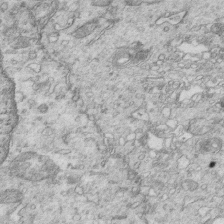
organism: Mouse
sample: Multiciliated cells